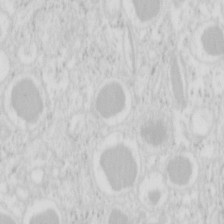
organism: Mouse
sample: Pancreas